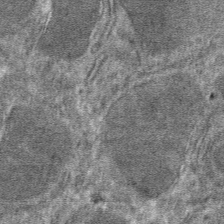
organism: Mouse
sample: Mouse hepatocytes